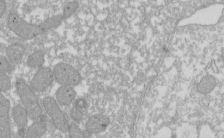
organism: Xenopus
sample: Cilia; centrioles in frog embryo cells